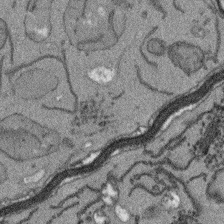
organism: Arabidopsis thaliana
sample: Root tip